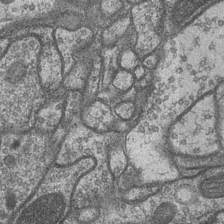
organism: Drosophila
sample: Optic medulla